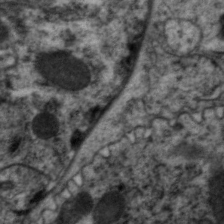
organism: C. elegans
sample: Pharynx